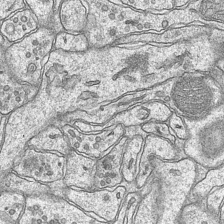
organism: Mouse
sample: CA1 Hippocampus